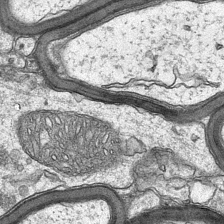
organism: Mouse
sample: CA1 Hippocampus